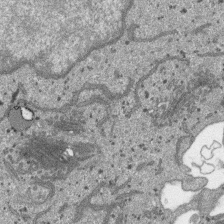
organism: Human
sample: Lung epithelial cells infected with SARS-CoV-2